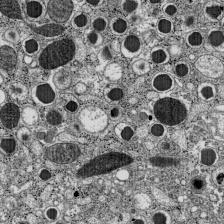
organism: C57BL Mouse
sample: Pancreatic islet